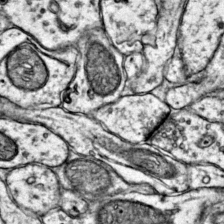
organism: Mouse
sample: Primary visual cortex